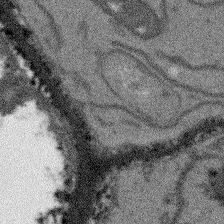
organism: Arabidopsis thaliana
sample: Root tip